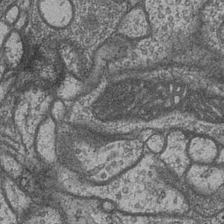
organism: Drosophila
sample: Optic medulla